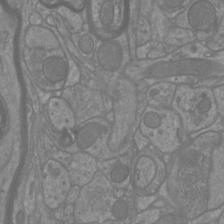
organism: Mouse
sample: Cortical neurons